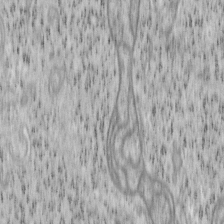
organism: Human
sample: HeLa cells